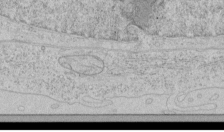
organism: Human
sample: Mitochondria in HCT116 cells